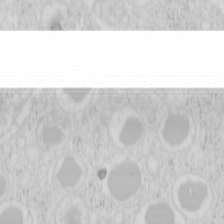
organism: Mouse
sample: Pancreas